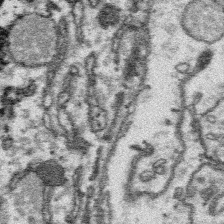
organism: Platynereis dumerilii